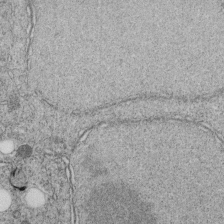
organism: C. elegans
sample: C. elegans embryo early stage